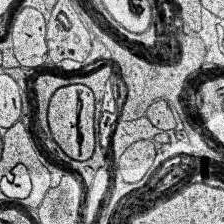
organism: Human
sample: Temporal Lobe